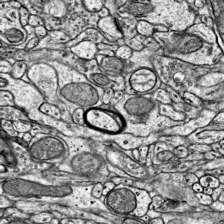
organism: Mouse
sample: Visual Cortex